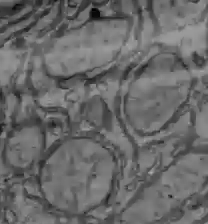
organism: C57BL Mouse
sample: Liver